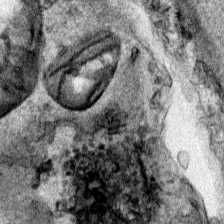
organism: Human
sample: Mitochondria in HCT116 cells